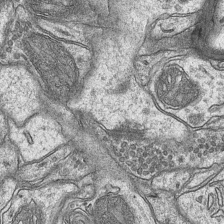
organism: Mouse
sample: CA1 Hippocampus